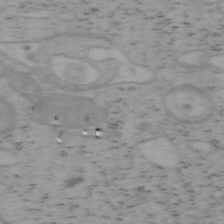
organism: Mouse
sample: OT-I killer T cells with ID8 ovarian cancer cells